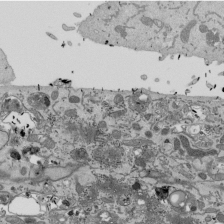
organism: Mouse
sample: ED-1 cell nuclei; centrioles